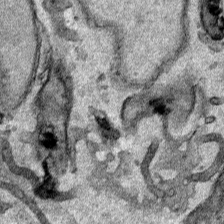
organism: Human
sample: Mitochondria in HCT116 cells